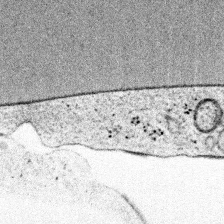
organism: Human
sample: HeLa cells